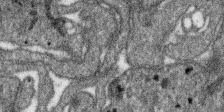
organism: Human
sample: Lung epithelial cells infected with SARS-CoV-2